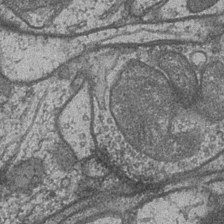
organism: Drosophila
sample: Optic medulla